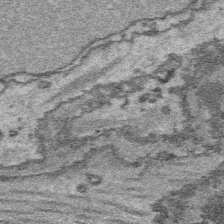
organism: Platynereis dumerilii